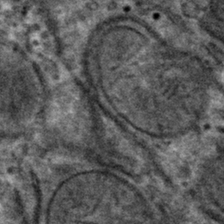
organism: Mouse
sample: Mouse hepatocytes